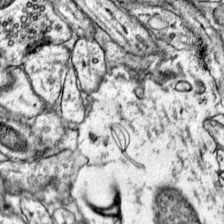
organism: Mouse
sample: Primary visual cortex